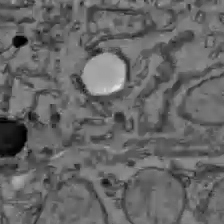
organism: C57BL Mouse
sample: Liver